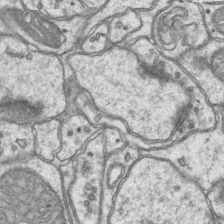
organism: Mouse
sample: CA1 Hippocampus